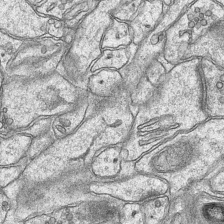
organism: Mouse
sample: CA1 Hippocampus